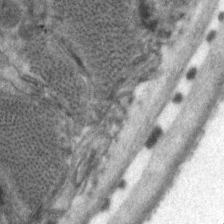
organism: C. elegans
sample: Pharynx